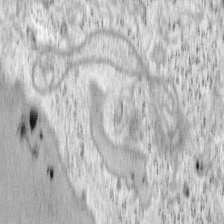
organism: Human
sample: HeLa cells